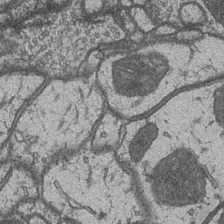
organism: Drosophila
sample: Optic medulla